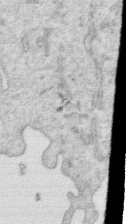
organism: Human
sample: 1205lu cells